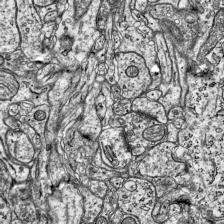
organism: Mouse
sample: Visual Cortex